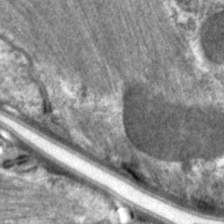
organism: C. elegans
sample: Pharynx